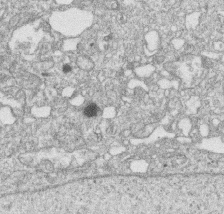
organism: Human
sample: HeLa cell HIV synapse